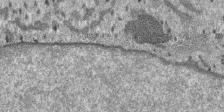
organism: Human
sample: Lung epithelial cells infected with SARS-CoV-2